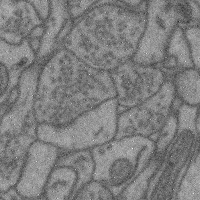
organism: Mouse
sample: Cerebral cortex